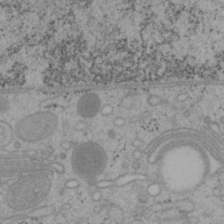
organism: Human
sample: HeLa cells